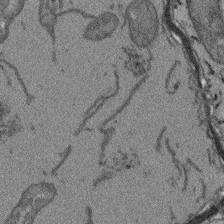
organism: Arabidopsis thaliana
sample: Root tip